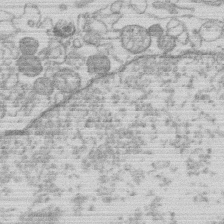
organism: Human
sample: Macrophage cells